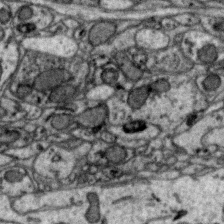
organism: Zebra finch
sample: Brain